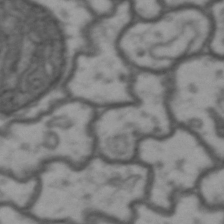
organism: Drosophila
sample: Brain